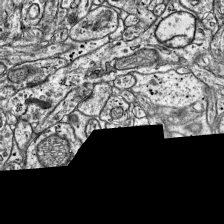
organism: Mouse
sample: Visual Cortex